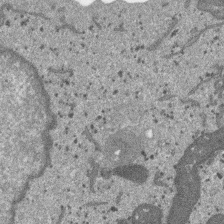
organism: Human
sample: Lung epithelial cells infected with SARS-CoV-2